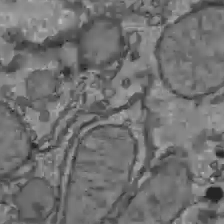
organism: C57BL Mouse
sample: Liver